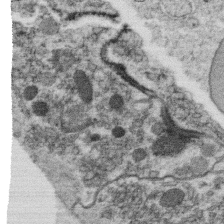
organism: C. elegans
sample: C. elegans oocyte; sperm cells